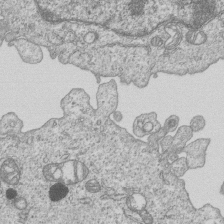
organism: Human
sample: MDA-MB-231 cells